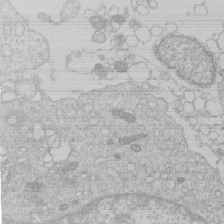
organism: Human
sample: Macrophage cells